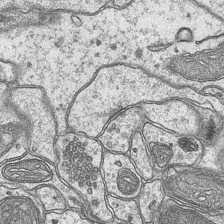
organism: Mouse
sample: CA1 Hippocampus